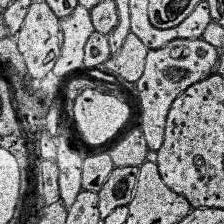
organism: Human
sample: Temporal Lobe